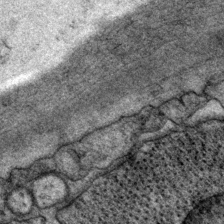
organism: P. pacificus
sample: Pharynx